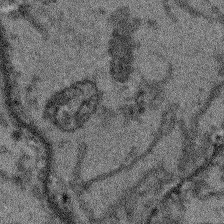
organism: Arabidopsis thaliana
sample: Root tip